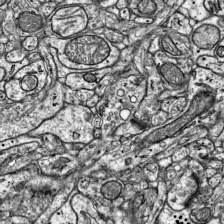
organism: Mouse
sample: Visual Cortex